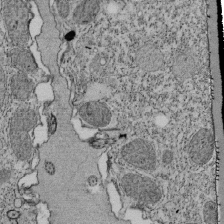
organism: Tetrahymena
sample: Cilia in tetrahymena